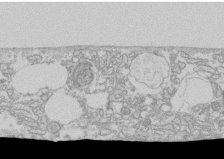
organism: Human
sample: CRL-1474